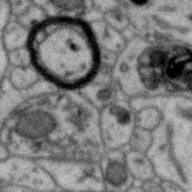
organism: Zebra finch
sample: Brain